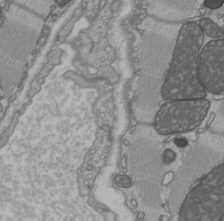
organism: C57BL Mouse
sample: Heart